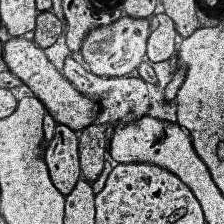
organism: Human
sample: Temporal Lobe